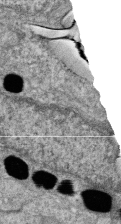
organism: Zebrafish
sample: Cilia; retinal pigment epithelium